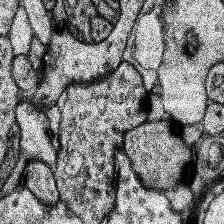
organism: Human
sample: Temporal Lobe